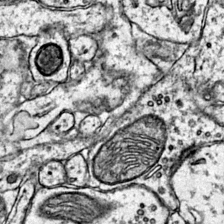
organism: Mouse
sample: Primary visual cortex